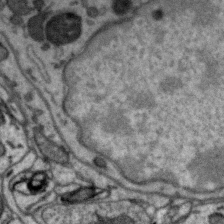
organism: Zebra finch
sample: Brain